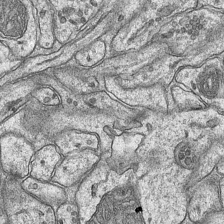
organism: Mouse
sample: CA1 Hippocampus